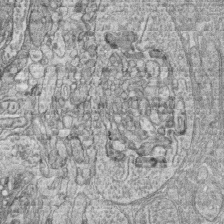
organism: Zebrafish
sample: synaptic ribbons in rod cells and cone cells